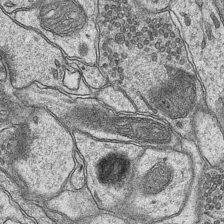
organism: Mouse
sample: CA1 Hippocampus